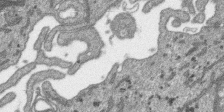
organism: Human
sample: Lung epithelial cells infected with SARS-CoV-2